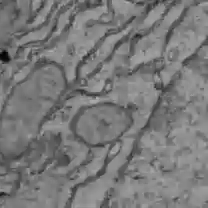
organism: C57BL Mouse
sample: Liver